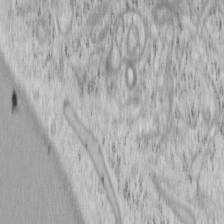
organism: Human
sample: HeLa cells